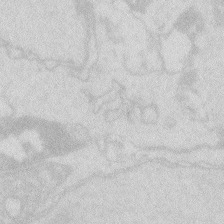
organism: Zebrafish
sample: Macrophage